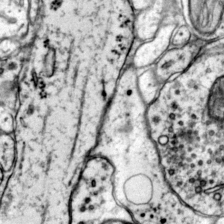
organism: Mouse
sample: Primary visual cortex